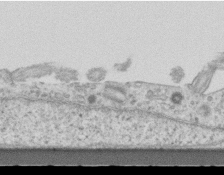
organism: Mouse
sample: Centriole in ependymal cells